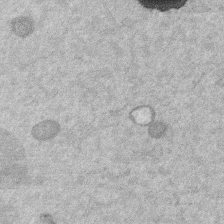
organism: Mouse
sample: Dividing mouse embryo 1 cell stage